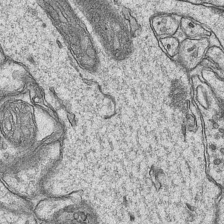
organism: Mouse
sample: CA1 Hippocampus